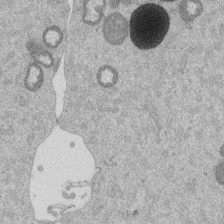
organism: Mouse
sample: Dividing mouse embryo 1 cell stage